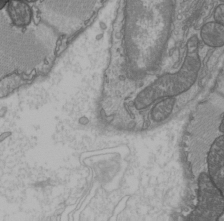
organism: C57BL Mouse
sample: Heart